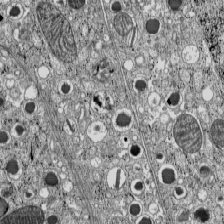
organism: C57BL Mouse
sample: Pancreatic islet